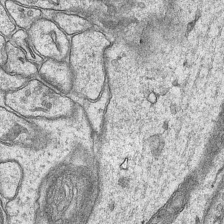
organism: Mouse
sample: CA1 Hippocampus